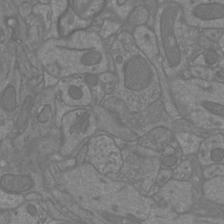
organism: Mouse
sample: Cortical neurons